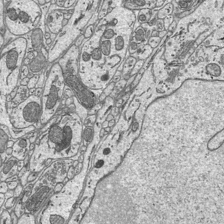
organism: Mouse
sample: Suprachiasmatic nucleus